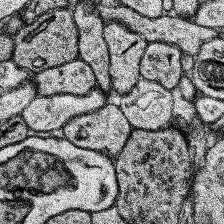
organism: Human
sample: Temporal Lobe